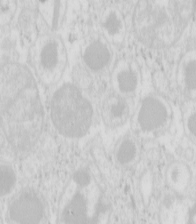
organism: Mouse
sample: Pancreas